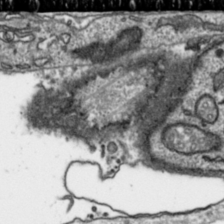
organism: Toxoplasma gondii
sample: Parasites in a vacuole inside a host cell